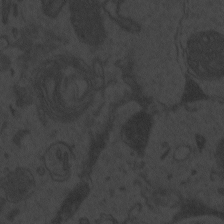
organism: Zebrafish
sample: Macrophage infected with Toxoplasma gondii